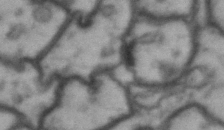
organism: Drosophila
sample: Brain